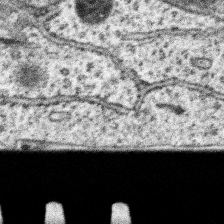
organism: Human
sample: HeLa cells